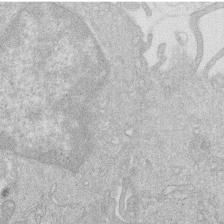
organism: Human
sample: Macrophage cells